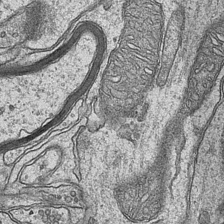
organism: Mouse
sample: CA1 Hippocampus